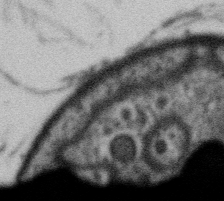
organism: Gemmata obscuriglobus